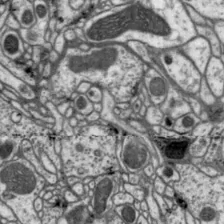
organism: Drosophila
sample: Protocerebral bridge